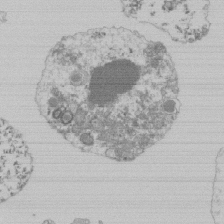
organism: Mouse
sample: Activated Pmel transgenic CD8+ T Cells